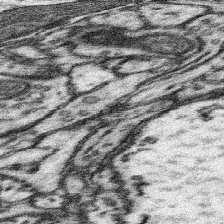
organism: Mouse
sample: Somatosensory cortex neuropil